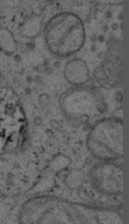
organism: Human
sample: HeLa cells